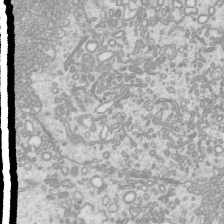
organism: Mouse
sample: Cilia; mouse epididymis